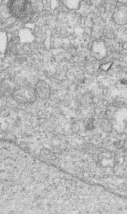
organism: Human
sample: HeLa cell HIV synapse